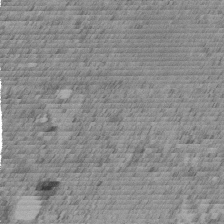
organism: C. elegans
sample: C. elegans embryo early stage